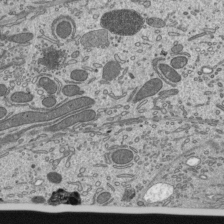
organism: Mouse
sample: Mouse epididymis efferent ductule cilia